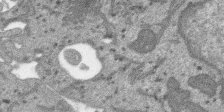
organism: Human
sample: Lung epithelial cells infected with SARS-CoV-2